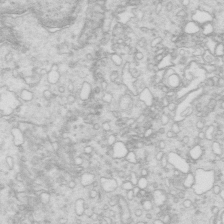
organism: Mouse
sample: Multiciliated cells